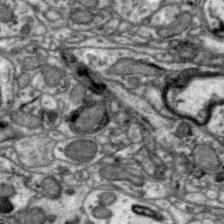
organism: Zebra finch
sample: Brain